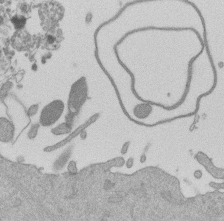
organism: Mouse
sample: Dividing mouse embryo 1 cell stage